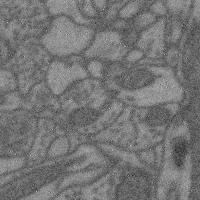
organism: Mouse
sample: Cerebral cortex